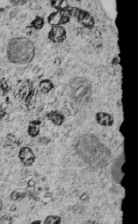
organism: C. elegans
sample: C. elegans embryo early stage